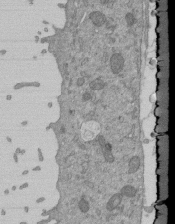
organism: Mouse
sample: ED-1 cell nuclei; centrioles